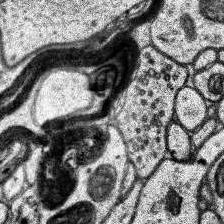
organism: Human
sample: Temporal Lobe